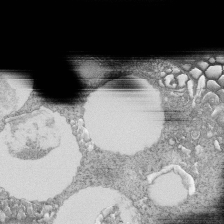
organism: Tetrahymena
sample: Cilia in tetrahymena